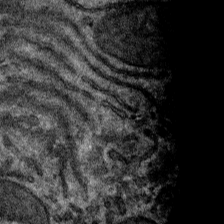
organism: Mouse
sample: Mouse hepatocytes